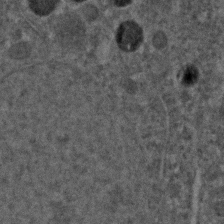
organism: C. elegans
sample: C. elegans embryo